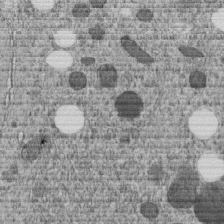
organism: C. elegans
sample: C. elegans embryo early stage